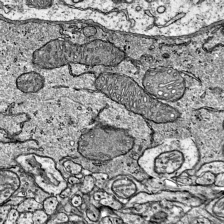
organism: Mouse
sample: Visual Cortex